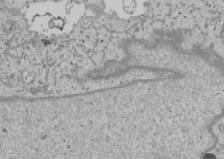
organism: Human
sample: Mitochondria in U2OS cells